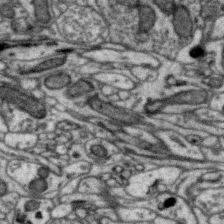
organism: Zebra finch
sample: Brain